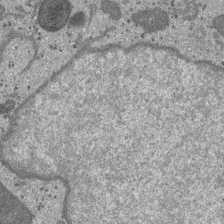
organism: Human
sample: Lung epithelial cells infected with SARS-CoV-2